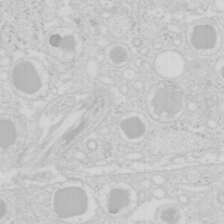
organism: Mouse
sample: Pancreas